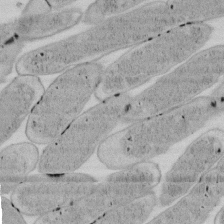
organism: E. coli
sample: Bacterial nucleoid